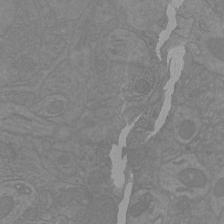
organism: Mouse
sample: Cortical neurons